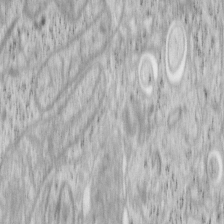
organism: Human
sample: HeLa cells